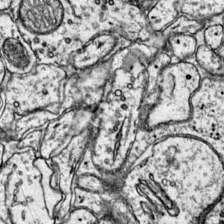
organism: Mouse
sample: Primary visual cortex